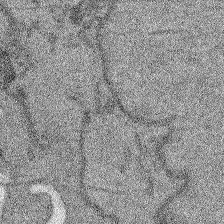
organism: Human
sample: HeLa cells